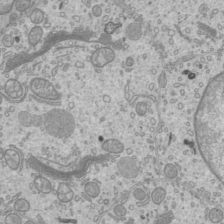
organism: Mouse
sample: Cilia; mouse epididymis